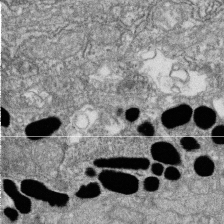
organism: Zebrafish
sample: Cilia; retinal pigment epithelium